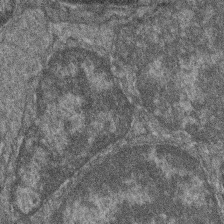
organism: Zebrafish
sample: Cilia; retinal pigment epithelium